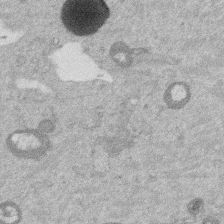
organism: Mouse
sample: Dividing mouse embryo 1 cell stage